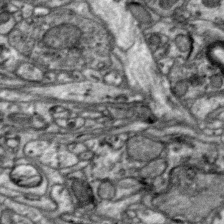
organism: Zebra finch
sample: Brain